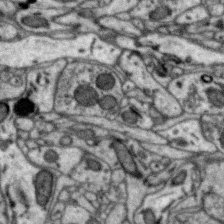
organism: Zebra finch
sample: Brain